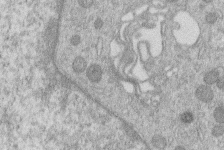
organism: Human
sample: Macrophage cells